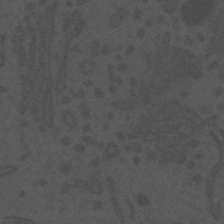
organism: Mouse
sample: Suprachiasmatic nucleus